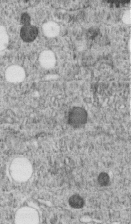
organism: C. elegans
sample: C. elegans embryo early stage